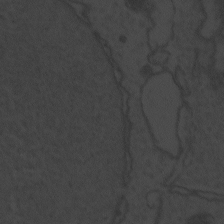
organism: Zebrafish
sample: Macrophage infected with Toxoplasma gondii